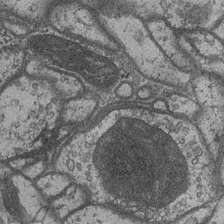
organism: Drosophila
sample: Optic medulla